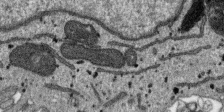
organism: Human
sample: Lung epithelial cells, uninfected (mock) control